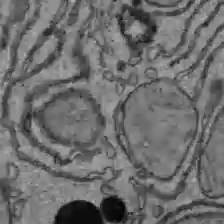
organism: C57BL Mouse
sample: Liver